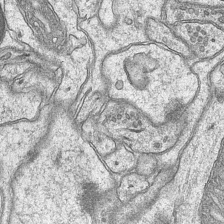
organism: Mouse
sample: CA1 Hippocampus